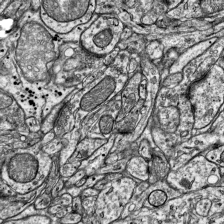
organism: Mouse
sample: Visual Cortex